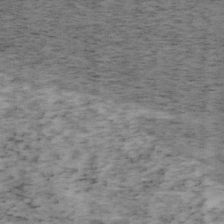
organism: Mouse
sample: OT-I killer T cells with ID8 ovarian cancer cells